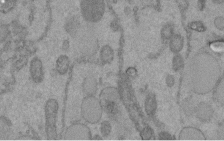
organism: C. elegans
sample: C. elegans embryo early stage